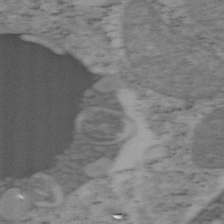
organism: Mouse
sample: OT-I killer T cells with ID8 ovarian cancer cells